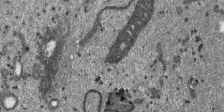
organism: Human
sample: Lung epithelial cells infected with SARS-CoV-2